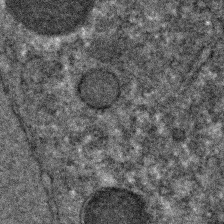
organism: C. elegans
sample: C. elegans embryo